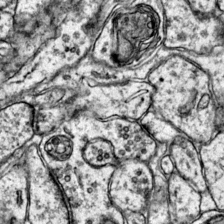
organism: Mouse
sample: Primary visual cortex